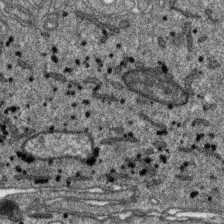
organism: Human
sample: Lung epithelial cells infected with SARS-CoV-2